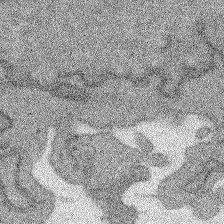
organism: Human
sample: HeLa cells